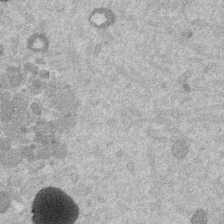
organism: Mouse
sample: Dividing mouse embryo 1 cell stage